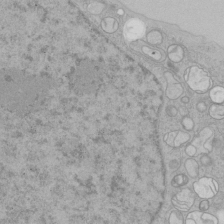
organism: Human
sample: Mitochondria in HCT116 cells